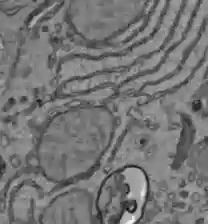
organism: C57BL Mouse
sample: Liver